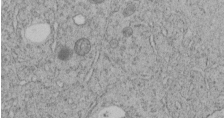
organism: C. elegans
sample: C. elegans embryo early stage